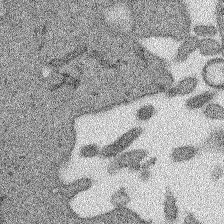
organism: Human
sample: HeLa cells